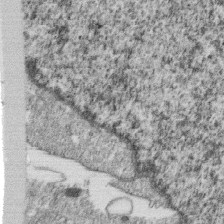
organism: African green monkey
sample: Vero E6 cells infected with SARS-CoV-2